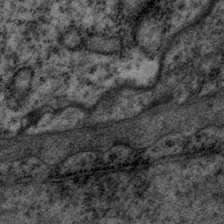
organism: P. pacificus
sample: Pharynx